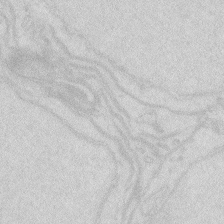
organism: Zebrafish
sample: Macrophage